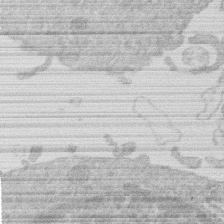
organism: Human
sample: Macrophage cells